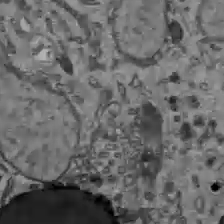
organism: C57BL Mouse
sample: Liver